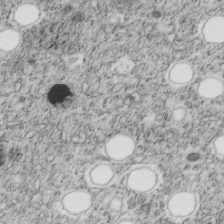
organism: C. elegans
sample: C. elegans embryo early stage